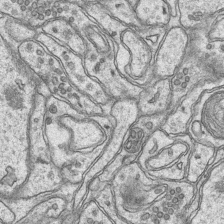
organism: Mouse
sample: CA1 Hippocampus